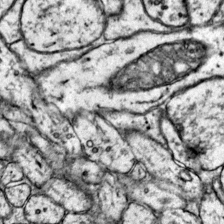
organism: Mouse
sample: Primary visual cortex